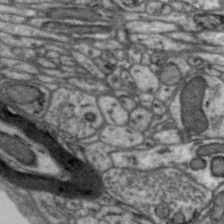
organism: Zebra finch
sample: Brain